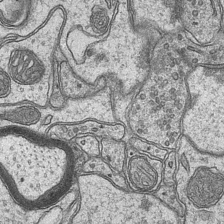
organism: Mouse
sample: CA1 Hippocampus